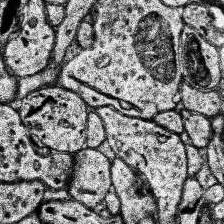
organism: Human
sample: Temporal Lobe